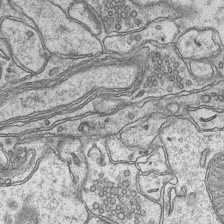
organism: Mouse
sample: CA1 Hippocampus